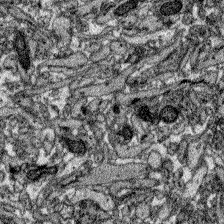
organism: Zebrafish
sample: Larval olfactory bulb